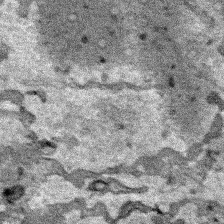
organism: Human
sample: Mitochondria in HCT116 cells